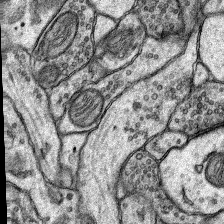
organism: Rat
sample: Hippocampus